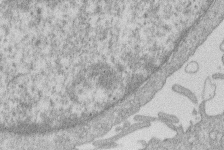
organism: Human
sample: Macrophage cells